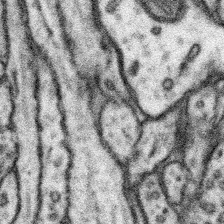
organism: Mouse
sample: Somatosensory cortex neuropil